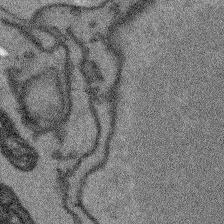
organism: Arabidopsis thaliana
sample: Root tip